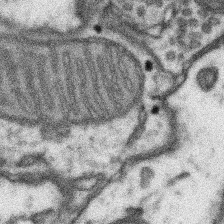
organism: Mouse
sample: Somatosensory cortex neuropil